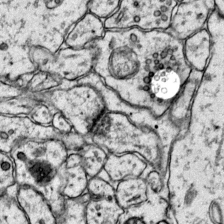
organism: Mouse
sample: Primary visual cortex